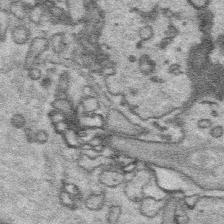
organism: Platynereis dumerilii